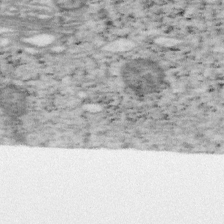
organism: Mouse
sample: OT-I killer T cells with ID8 ovarian cancer cells